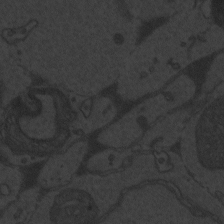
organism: Zebrafish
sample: Macrophage infected with Toxoplasma gondii